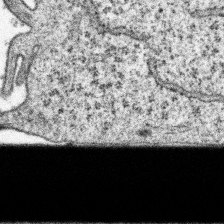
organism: Human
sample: HeLa cells